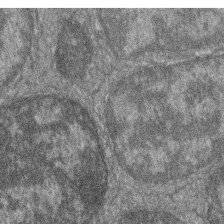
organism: Zebrafish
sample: Cilia; retinal pigment epithelium